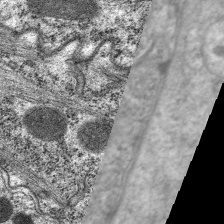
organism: C. elegans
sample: Pharynx